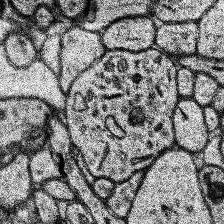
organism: Human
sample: Temporal Lobe